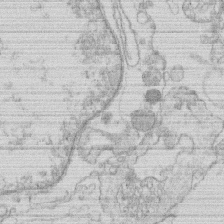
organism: Human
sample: Macrophage cells